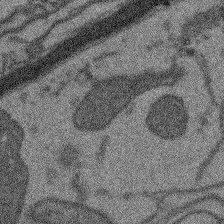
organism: Arabidopsis thaliana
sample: Root tip